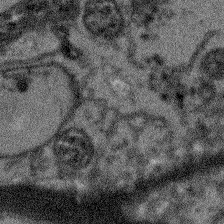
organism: Arabidopsis thaliana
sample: Root tip